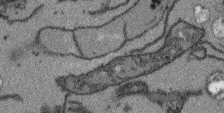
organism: Arabidopsis thaliana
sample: Root tip